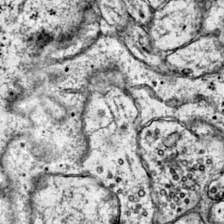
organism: Mouse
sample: Primary visual cortex